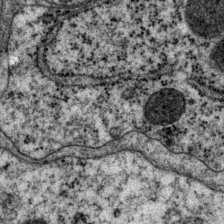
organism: P. pacificus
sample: Pharynx